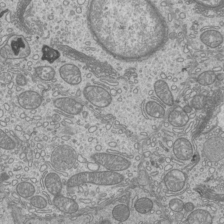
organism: Mouse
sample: Cilia; mouse epididymis